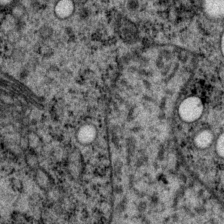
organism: P. pacificus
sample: Pharynx